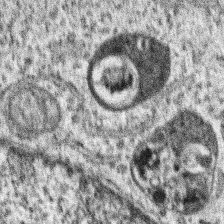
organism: Human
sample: HeLa cells